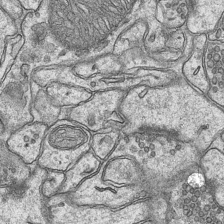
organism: Mouse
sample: CA1 Hippocampus